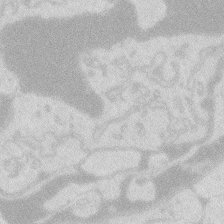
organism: Zebrafish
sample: Macrophage